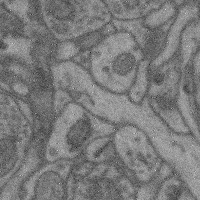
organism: Mouse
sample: Cerebral cortex